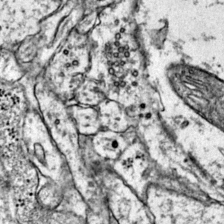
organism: Mouse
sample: Primary visual cortex